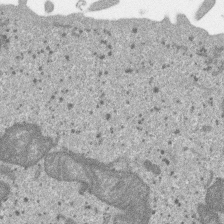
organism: Human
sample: Lung epithelial cells infected with SARS-CoV-2